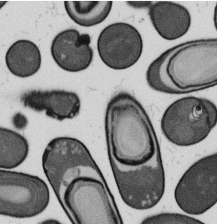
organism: B. subtilis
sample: Bacterial spore